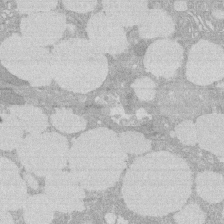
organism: Rat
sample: Salivary granule